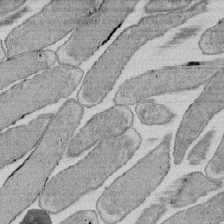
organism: E. coli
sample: Bacterial nucleoid